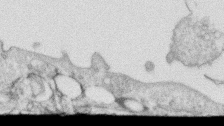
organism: Human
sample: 1205lu cells